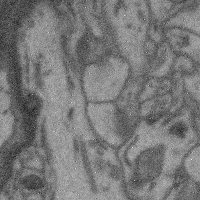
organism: Mouse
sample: Cerebral cortex